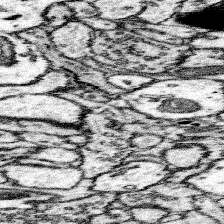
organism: Mouse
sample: Somatosensory cortex neuropil